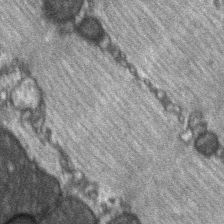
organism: C57BL Mouse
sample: Soleus